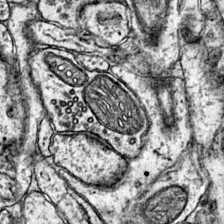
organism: Mouse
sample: Primary visual cortex